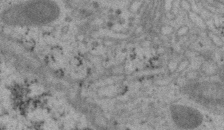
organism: Human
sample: HeLa cells